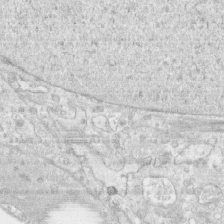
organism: Human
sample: CRL-1474